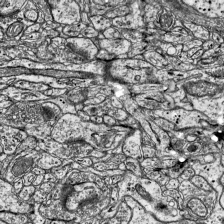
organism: Mouse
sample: Visual Cortex